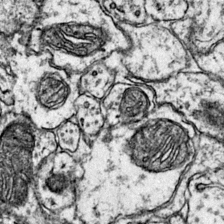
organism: Mouse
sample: Primary visual cortex